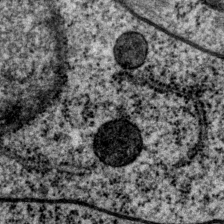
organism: P. pacificus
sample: Pharynx